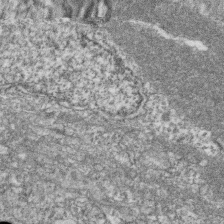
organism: Zebrafish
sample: Cilia; retinal pigment epithelium